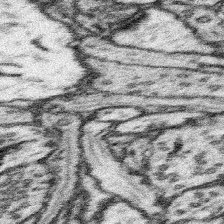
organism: Mouse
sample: Somatosensory cortex neuropil